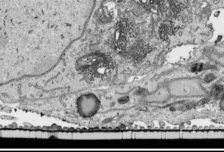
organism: Human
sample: Mitochondria in HCT116 cells